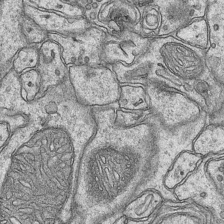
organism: Mouse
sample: CA1 Hippocampus